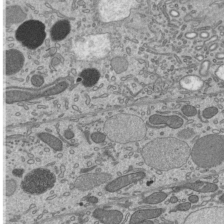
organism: Mouse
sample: Mouse epididymis efferent ductule cilia